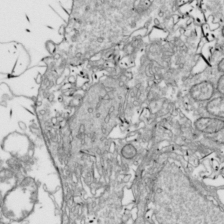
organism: Drosophila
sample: Cell division; meiosis; drosophila spermatocytes